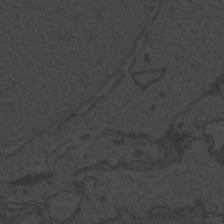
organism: Zebrafish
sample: Macrophage infected with Toxoplasma gondii